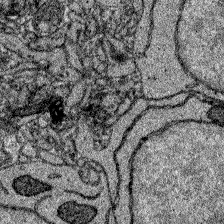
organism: Zebrafish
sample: Larval olfactory bulb